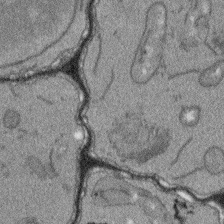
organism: Arabidopsis thaliana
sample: Root tip